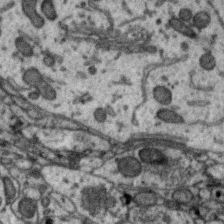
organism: Zebra finch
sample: Brain